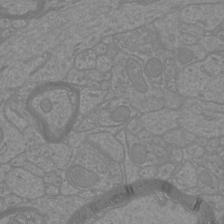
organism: Mouse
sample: Cortical neurons